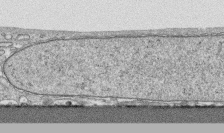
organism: Human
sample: CRL-1474